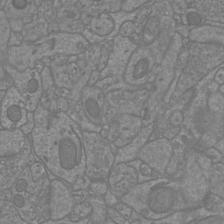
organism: Mouse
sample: Cortical neurons